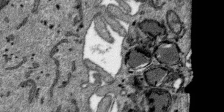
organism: Human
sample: Lung epithelial cells, uninfected (mock) control